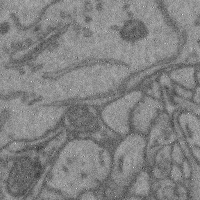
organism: Mouse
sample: Cerebral cortex